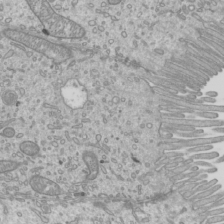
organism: Mouse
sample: Cilia; mouse epididymis